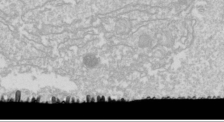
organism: Drosophila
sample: Cell division; meiosis; drosophila spermatocytes